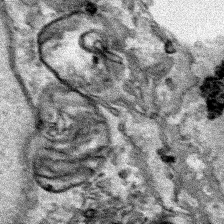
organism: Human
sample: Mitochondria in HCT116 cells